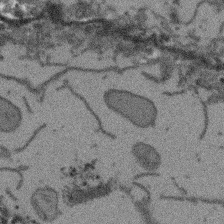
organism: Arabidopsis thaliana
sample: Root tip